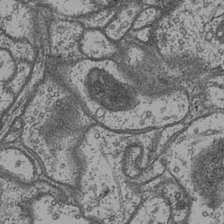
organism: Drosophila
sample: Optic medulla